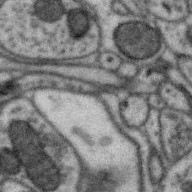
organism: Zebra finch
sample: Brain